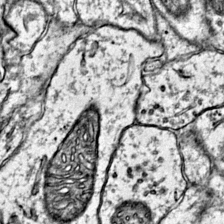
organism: Mouse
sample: Primary visual cortex